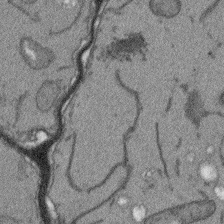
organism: Arabidopsis thaliana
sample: Root tip